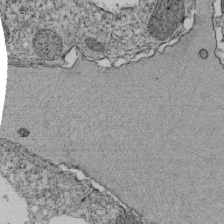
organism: Tetrahymena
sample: Cilia in tetrahymena